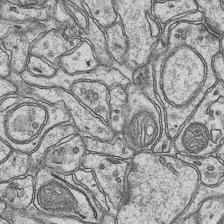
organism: Mouse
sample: CA1 Hippocampus